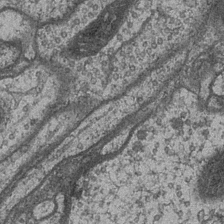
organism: Drosophila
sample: Optic medulla